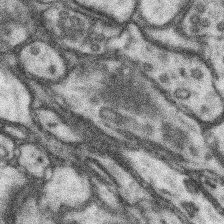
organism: Mouse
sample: Somatosensory cortex neuropil